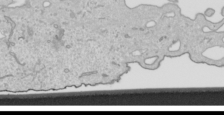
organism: Human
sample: Mitochondria in HCT116 cells